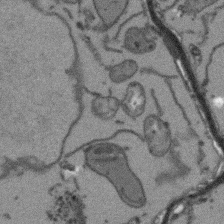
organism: Arabidopsis thaliana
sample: Root tip